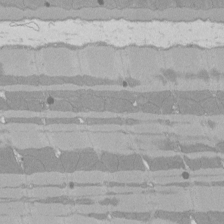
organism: Rat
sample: Left ventricle